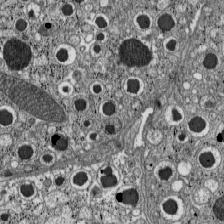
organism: C57BL Mouse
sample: Pancreatic islet